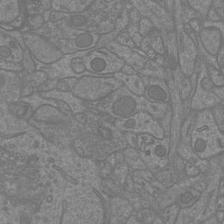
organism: Mouse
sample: Cortical neurons